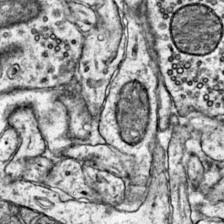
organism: Mouse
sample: Primary visual cortex